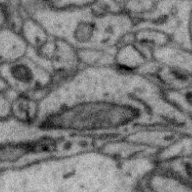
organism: Zebra finch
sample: Brain